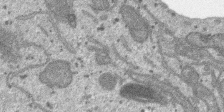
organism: Human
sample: Lung epithelial cells infected with SARS-CoV-2